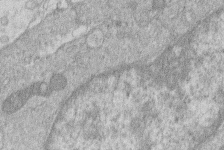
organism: Human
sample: Macrophage cells